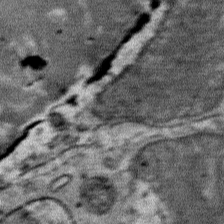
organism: Mouse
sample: Mouse Salivary gland